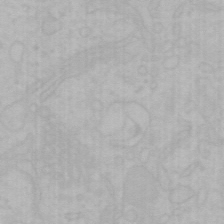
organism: Mouse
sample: Choroid plexus